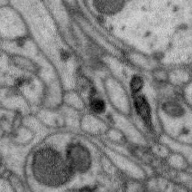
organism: Zebra finch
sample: Brain